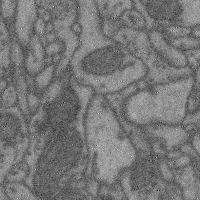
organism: Mouse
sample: Cerebral cortex